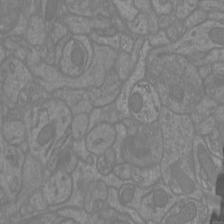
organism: Mouse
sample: Cortical neurons